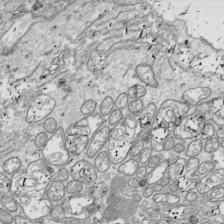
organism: Drosophila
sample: Cell division; meiosis; drosophila spermatocytes